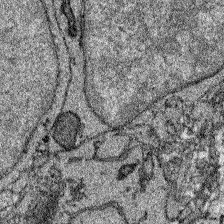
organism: Zebrafish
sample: Larval olfactory bulb